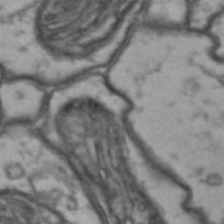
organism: Drosophila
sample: Brain